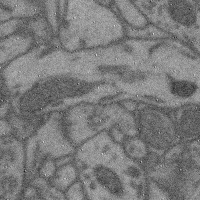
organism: Mouse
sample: Cerebral cortex